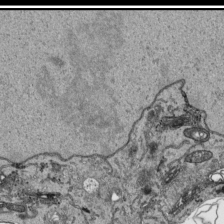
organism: Human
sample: Mitochondria in HCT116 cells